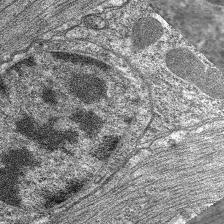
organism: C. elegans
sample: Pharynx